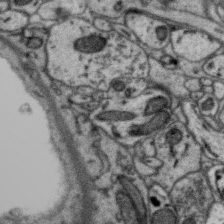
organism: Zebra finch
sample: Brain